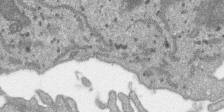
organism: Human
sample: Lung epithelial cells infected with SARS-CoV-2